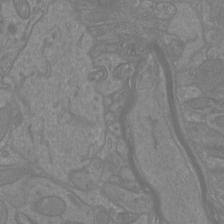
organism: Mouse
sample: Cortical neurons